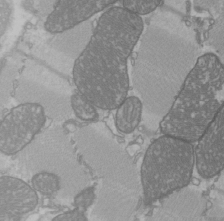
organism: C57BL Mouse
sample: Heart